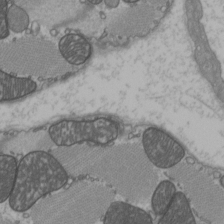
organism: C57BL Mouse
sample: Heart